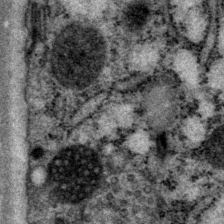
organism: P. pacificus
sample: Pharynx